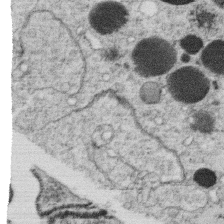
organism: C. elegans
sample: C. elegans oocyte; sperm cells